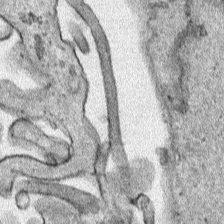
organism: Human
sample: Mitochondria in HCT116 cells